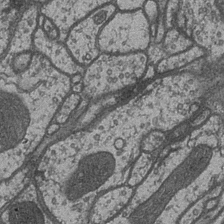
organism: Drosophila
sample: Optic medulla